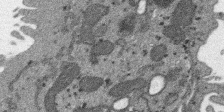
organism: Human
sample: Lung epithelial cells infected with SARS-CoV-2